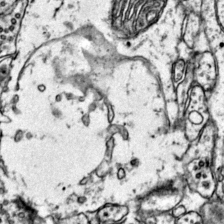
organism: Mouse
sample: Primary visual cortex